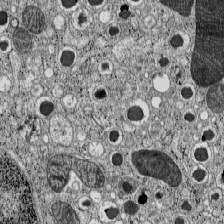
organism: C57BL Mouse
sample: Pancreatic islet